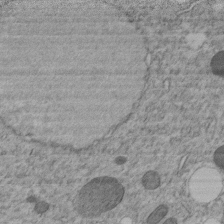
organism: C. elegans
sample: C. elegans embryo early stage